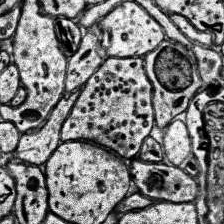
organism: Human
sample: Temporal Lobe